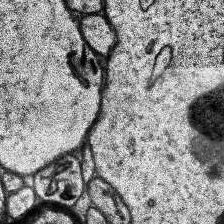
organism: Human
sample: Temporal Lobe